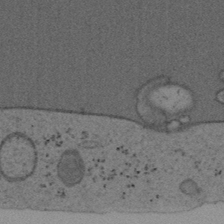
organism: Human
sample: HeLa cells